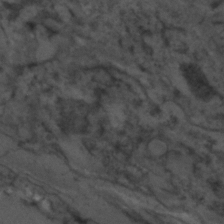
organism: C. elegans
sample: C. elegans embryo